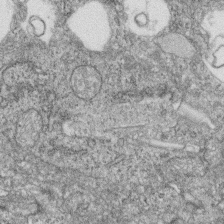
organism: Zebrafish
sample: Cilia; retinal pigment epithelium